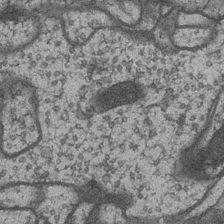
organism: Drosophila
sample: Optic medulla